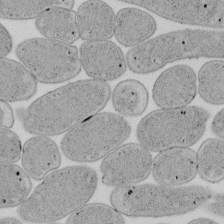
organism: E. coli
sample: Bacterial nucleoid